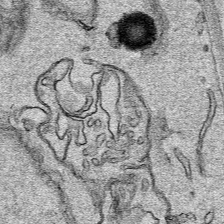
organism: Human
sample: Mitochondria in HCT116 cells